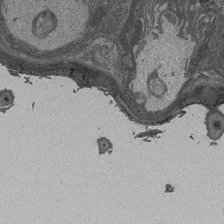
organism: Drosophila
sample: Antenna